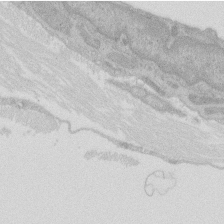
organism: Rat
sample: Salivary granule